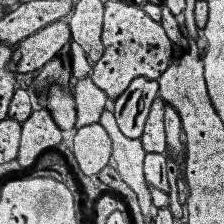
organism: Human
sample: Temporal Lobe